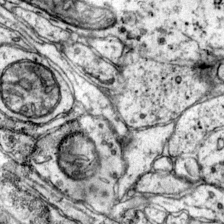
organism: Mouse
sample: Primary visual cortex